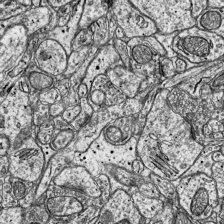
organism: Mouse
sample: Visual Cortex